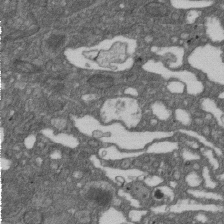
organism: Drosophila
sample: Nephrocyte